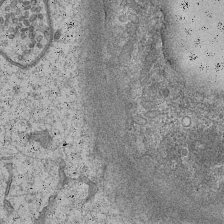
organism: Mouse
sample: CA1 Hippocampus